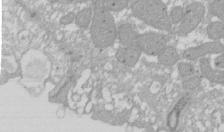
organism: Xenopus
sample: Cilia; centrioles in frog embryo cells